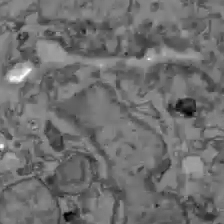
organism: C57BL Mouse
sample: Liver